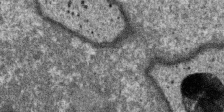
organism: Human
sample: Lung epithelial cells, uninfected (mock) control